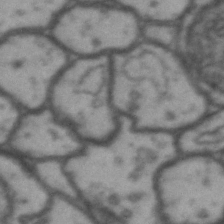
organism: Drosophila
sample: Brain